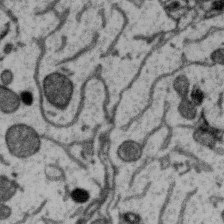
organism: Zebra finch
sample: Brain